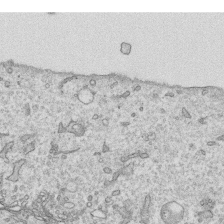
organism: Human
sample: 1205lu cells